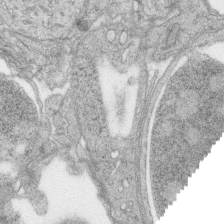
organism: Zebrafish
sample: synaptic ribbons in rod cells and cone cells